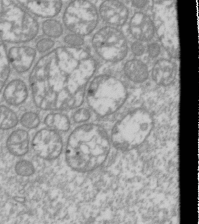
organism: Drosophila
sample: Cell division; meiosis; drosophila spermatocytes